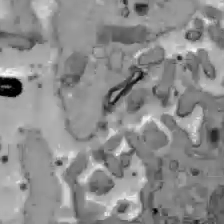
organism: C57BL Mouse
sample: Liver